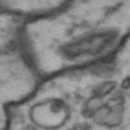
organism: Drosophila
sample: Brain